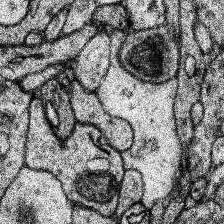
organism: Human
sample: Temporal Lobe